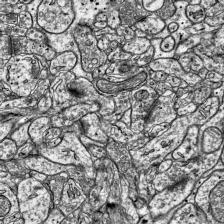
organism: Mouse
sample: Visual Cortex